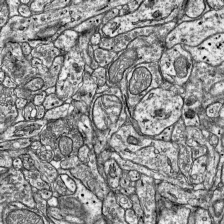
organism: Mouse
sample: Visual Cortex